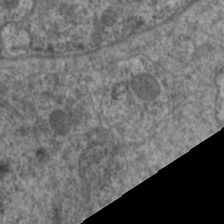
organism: C. elegans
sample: Pharynx